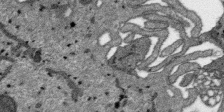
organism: Human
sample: Lung epithelial cells, uninfected (mock) control